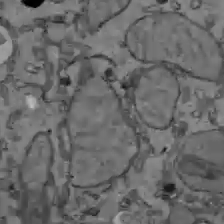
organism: C57BL Mouse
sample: Liver